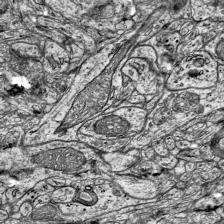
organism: Mouse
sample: Visual Cortex